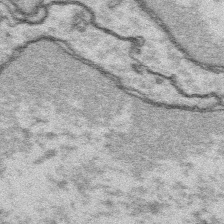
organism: Platynereis dumerilii